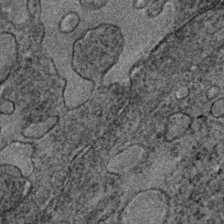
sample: Trachea